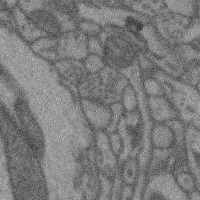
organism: Mouse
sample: Cerebral cortex